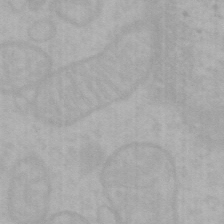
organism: Mouse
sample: Choroid plexus